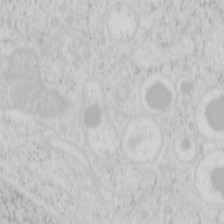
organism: Mouse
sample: Pancreas